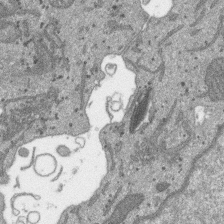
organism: Human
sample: Lung epithelial cells infected with SARS-CoV-2